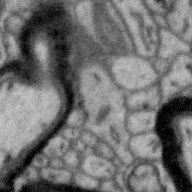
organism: Zebra finch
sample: Brain